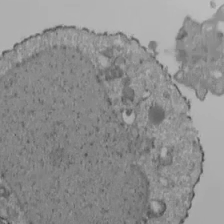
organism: Human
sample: Jurkat E6-1 and CD4 cells